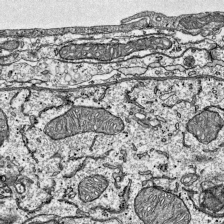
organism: Mouse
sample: Visual Cortex